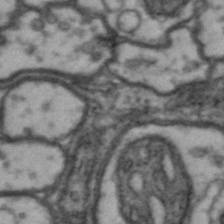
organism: Drosophila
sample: Brain